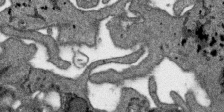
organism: Human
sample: Lung epithelial cells, uninfected (mock) control